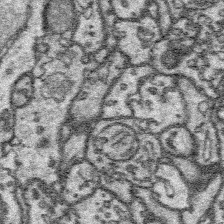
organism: Platynereis dumerilii